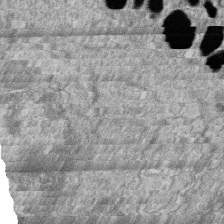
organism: Zebrafish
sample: Cilia; retinal pigment epithelium